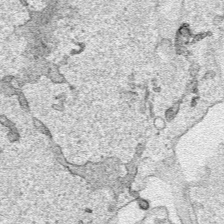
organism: Human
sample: Mitochondria in HCT116 cells